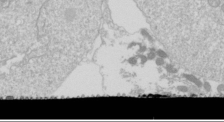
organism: Drosophila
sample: Cell division; meiosis; drosophila spermatocytes